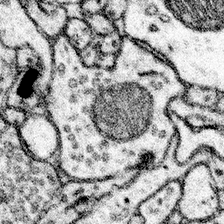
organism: Mouse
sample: Somatosensory cortex neuropil